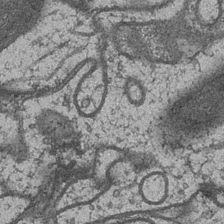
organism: Drosophila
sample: Optic medulla